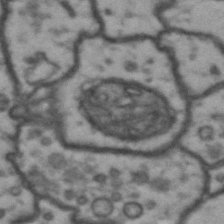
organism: Drosophila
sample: Brain